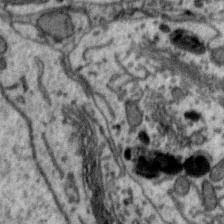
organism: Zebra finch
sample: Brain